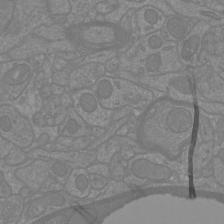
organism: Mouse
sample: Cortical neurons